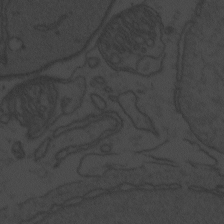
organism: Zebrafish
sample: Macrophage infected with Toxoplasma gondii